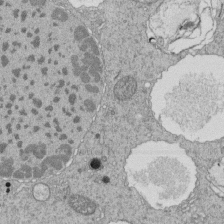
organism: Tetrahymena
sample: Cilia in tetrahymena